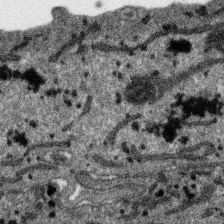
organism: Human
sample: Lung epithelial cells infected with SARS-CoV-2